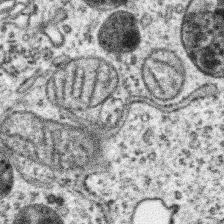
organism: Human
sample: HeLa cells